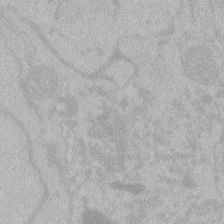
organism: Zebrafish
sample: Macrophage infected with Toxoplasma gondii